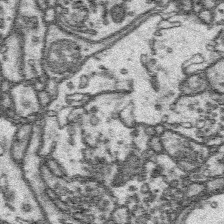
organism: Platynereis dumerilii